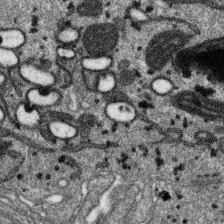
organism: Human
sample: Lung epithelial cells infected with SARS-CoV-2